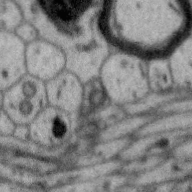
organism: Zebra finch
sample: Brain